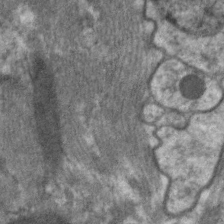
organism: C. elegans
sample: Pharynx